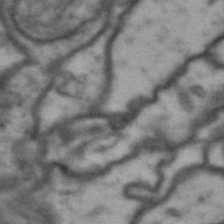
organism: Drosophila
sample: Brain